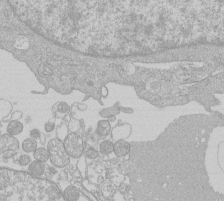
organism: Human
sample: Macrophage cells